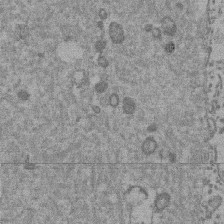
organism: Mouse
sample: Dividing mouse embryo 1 cell stage